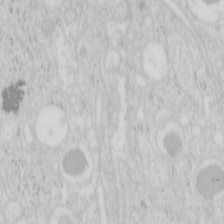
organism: Mouse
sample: Pancreas